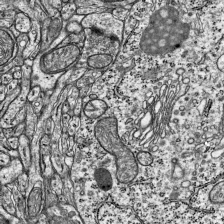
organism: Mouse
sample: Visual Cortex